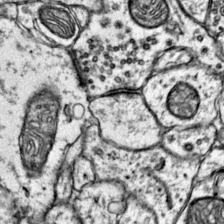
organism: Mouse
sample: Primary visual cortex